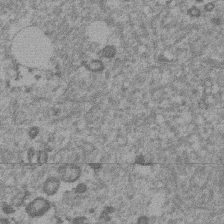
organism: Mouse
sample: Dividing mouse embryo 1 cell stage